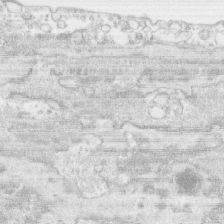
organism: Human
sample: CRL-1474